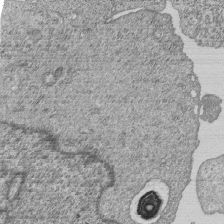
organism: Human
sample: MDA-MB-231 cells